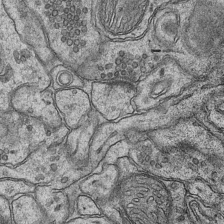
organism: Mouse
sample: CA1 Hippocampus